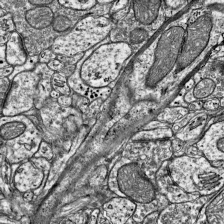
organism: Mouse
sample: Visual Cortex